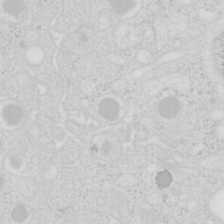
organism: Mouse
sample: Pancreas